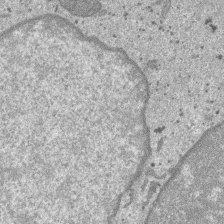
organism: Human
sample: Lung epithelial cells infected with SARS-CoV-2